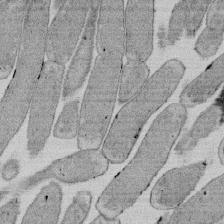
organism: E. coli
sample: Bacterial nucleoid